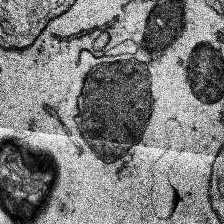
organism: Human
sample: Temporal Lobe